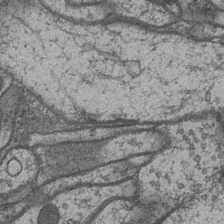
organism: Drosophila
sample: Optic medulla